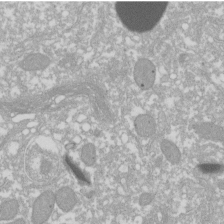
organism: Xenopus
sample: Cilia; centrioles in frog embryo cells